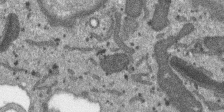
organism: Human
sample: Lung epithelial cells infected with SARS-CoV-2